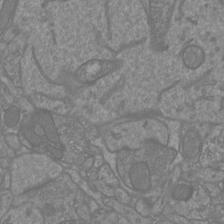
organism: Mouse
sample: Cortical neurons